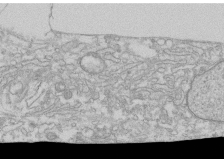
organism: Human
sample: CRL-1474